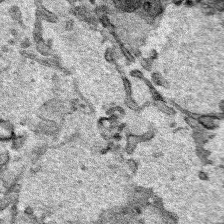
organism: Human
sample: Mitochondria in HCT116 cells